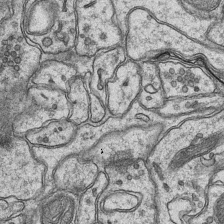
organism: Mouse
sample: CA1 Hippocampus